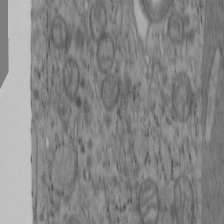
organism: Human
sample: HeLa cells